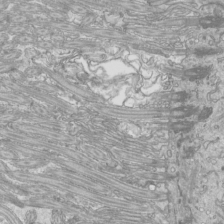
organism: Mouse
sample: Cilia; mouse epididymis